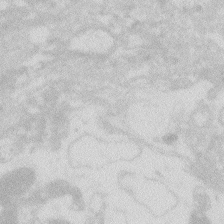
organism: Zebrafish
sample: Macrophage